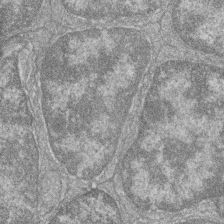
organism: Zebrafish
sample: Cilia; retinal pigment epithelium